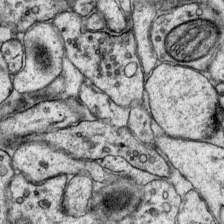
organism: Mouse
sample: Primary visual cortex